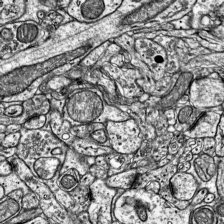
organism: Mouse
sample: Visual Cortex